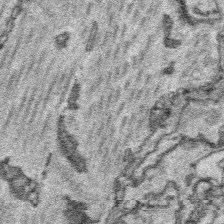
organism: Platynereis dumerilii